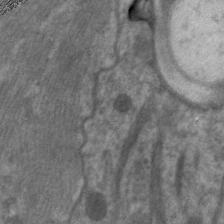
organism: C. elegans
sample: Pharynx